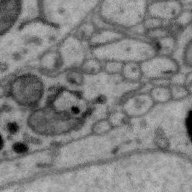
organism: Zebra finch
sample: Brain